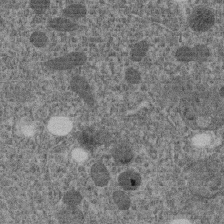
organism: C. elegans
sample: C. elegans embryo early stage